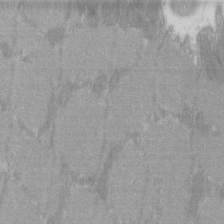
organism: C57BL Mouse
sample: Tibialis anterior muscle cell